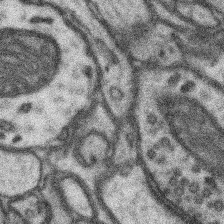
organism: Mouse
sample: Somatosensory cortex neuropil